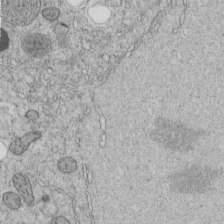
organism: C. elegans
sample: C. elegans embryo early stage